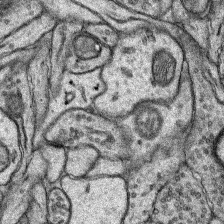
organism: Rat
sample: Hippocampus